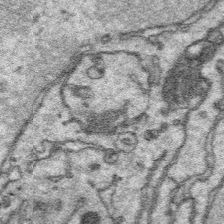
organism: Platynereis dumerilii